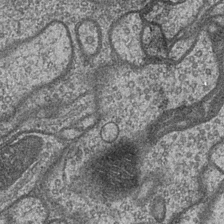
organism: Drosophila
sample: Optic medulla